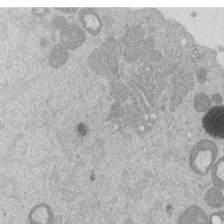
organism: Mouse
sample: Dividing mouse embryo 1 cell stage